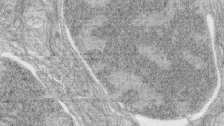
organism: Zebrafish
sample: synaptic ribbons in rod cells and cone cells